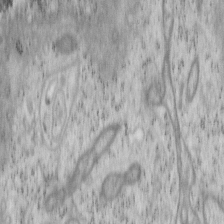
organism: Human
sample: HeLa cells